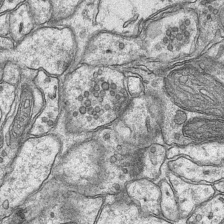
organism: Mouse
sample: CA1 Hippocampus